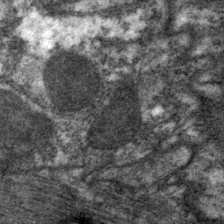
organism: C. elegans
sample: Pharynx